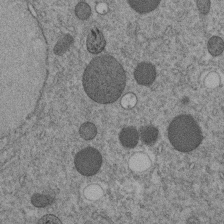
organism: C. elegans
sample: C. elegans embryo early stage